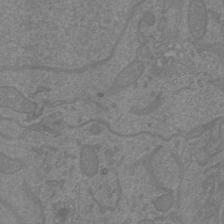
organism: Mouse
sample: Cortical neurons